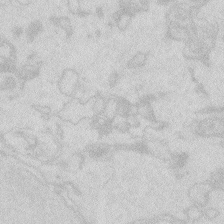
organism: Zebrafish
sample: Macrophage